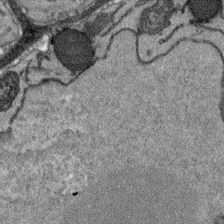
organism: Arabidopsis thaliana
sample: Root tip